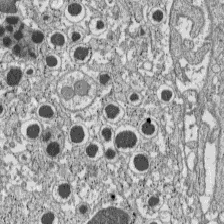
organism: C57BL Mouse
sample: Pancreatic islet